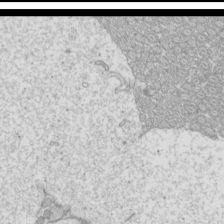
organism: Mouse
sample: Cilia; mouse epididymis